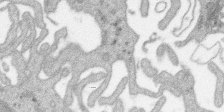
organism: Human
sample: Lung epithelial cells infected with SARS-CoV-2